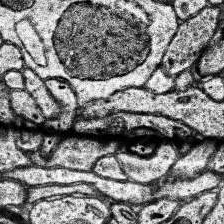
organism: Human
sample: Temporal Lobe